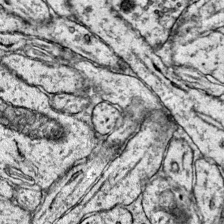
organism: Mouse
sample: Primary visual cortex